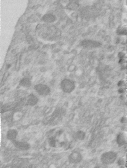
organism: Human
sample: Centriole in RPE cells